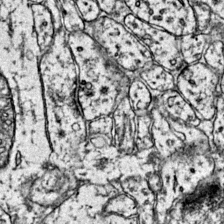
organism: Mouse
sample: Primary visual cortex